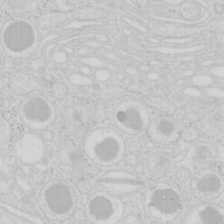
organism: Mouse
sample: Pancreas